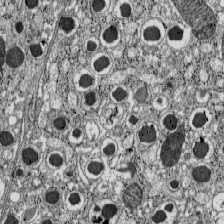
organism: C57BL Mouse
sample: Pancreatic islet